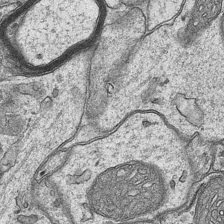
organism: Mouse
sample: CA1 Hippocampus